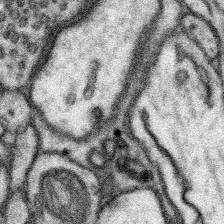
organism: Mouse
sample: Somatosensory cortex neuropil